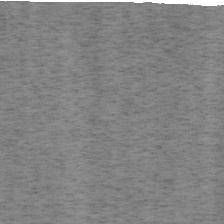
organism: Mouse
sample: OT-I killer T cells with ID8 ovarian cancer cells